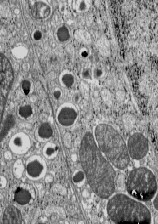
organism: C57BL Mouse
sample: Pancreatic islet